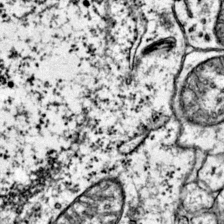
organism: Mouse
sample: Primary visual cortex